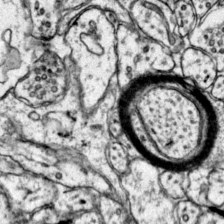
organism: Mouse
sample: Primary visual cortex